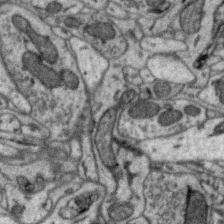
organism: Zebra finch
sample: Brain